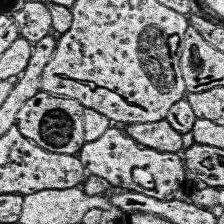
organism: Human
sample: Temporal Lobe